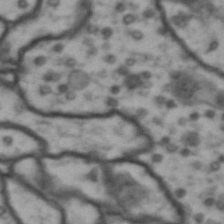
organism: Drosophila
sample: Brain